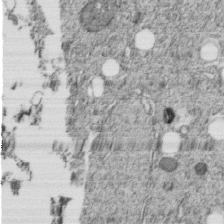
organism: C. elegans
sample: C. elegans embryo early stage